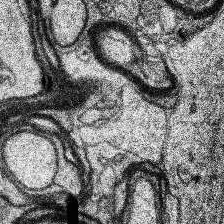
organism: Human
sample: Temporal Lobe